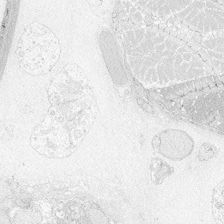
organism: Zebrafish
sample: Whole-Brain